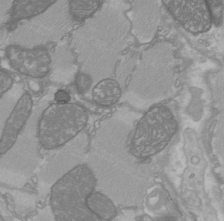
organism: C57BL Mouse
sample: Heart